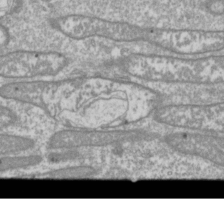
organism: Drosophila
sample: Cell division; meiosis; drosophila spermatocytes